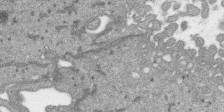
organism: Human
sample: Lung epithelial cells infected with SARS-CoV-2